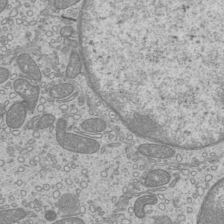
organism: Mouse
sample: Cilia; mouse epididymis